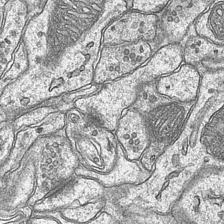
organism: Mouse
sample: CA1 Hippocampus